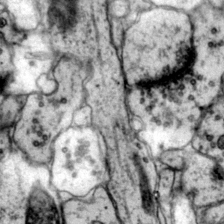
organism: Mouse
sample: Primary visual cortex